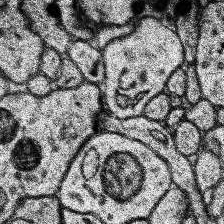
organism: Human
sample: Temporal Lobe